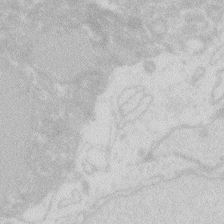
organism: Zebrafish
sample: Macrophage